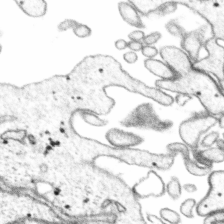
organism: Human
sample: HeLa cells